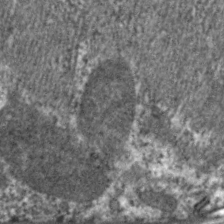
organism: C. elegans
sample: Pharynx